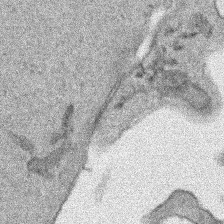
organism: Human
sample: Mitochondria in HCT116 cells